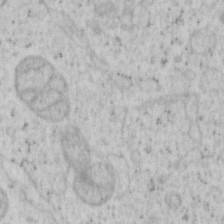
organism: Human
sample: HeLa cells